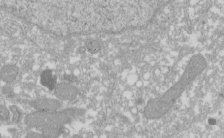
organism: Xenopus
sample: Cilia; centrioles in frog embryo cells